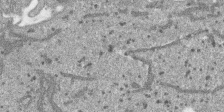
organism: Human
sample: Lung epithelial cells infected with SARS-CoV-2